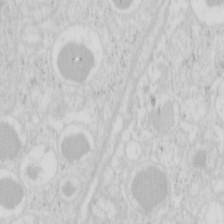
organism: Mouse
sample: Pancreas